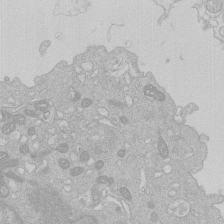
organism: Human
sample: Macrophage cells